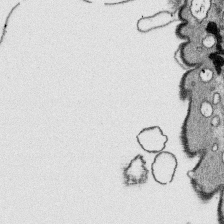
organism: Platynereis dumerilii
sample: Parapodia